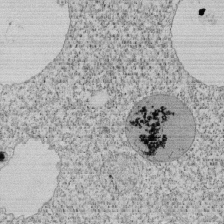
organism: Tetrahymena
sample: Cilia in tetrahymena